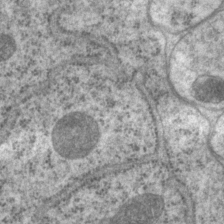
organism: P. pacificus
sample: Pharynx